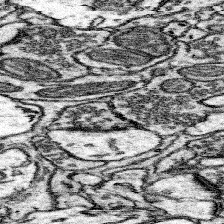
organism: Mouse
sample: Somatosensory cortex neuropil